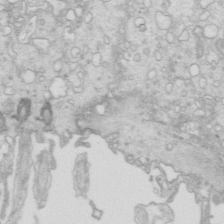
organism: Mouse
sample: Multiciliated cells